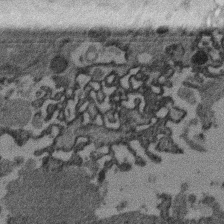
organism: Mouse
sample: Dividing mouse embryo 1 cell stage